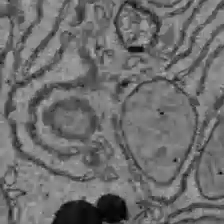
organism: C57BL Mouse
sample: Liver